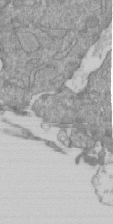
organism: Mouse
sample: ED-1 cell nuclei; centrioles